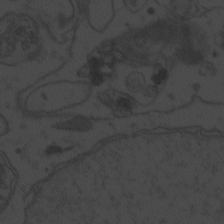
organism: Zebrafish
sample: Macrophage infected with Toxoplasma gondii